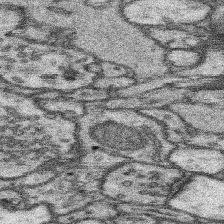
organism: Mouse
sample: Somatosensory cortex neuropil